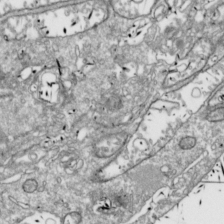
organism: Drosophila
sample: Cell division; meiosis; drosophila spermatocytes